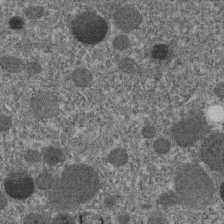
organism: C. elegans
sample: C. elegans embryo early stage